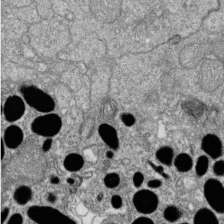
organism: Zebrafish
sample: Cilia; retinal pigment epithelium